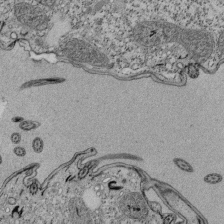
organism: Tetrahymena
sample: Cilia in tetrahymena